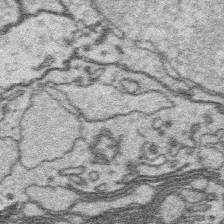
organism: Platynereis dumerilii